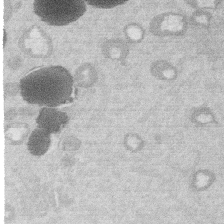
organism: Mouse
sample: Dividing mouse embryo 1 cell stage